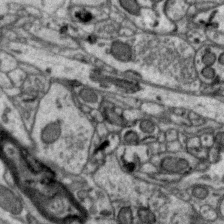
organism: Zebra finch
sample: Brain